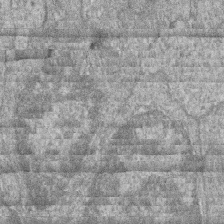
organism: Zebrafish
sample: Cilia; retinal pigment epithelium